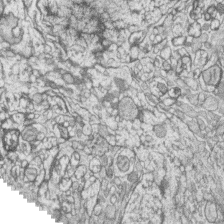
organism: Zebrafish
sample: synaptic ribbons in rod cells and cone cells